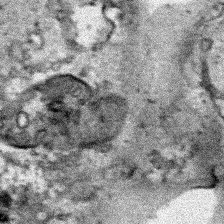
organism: Human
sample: Mitochondria in HCT116 cells